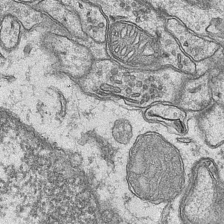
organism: Mouse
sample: CA1 Hippocampus